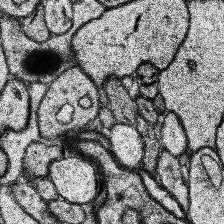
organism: Human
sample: Temporal Lobe